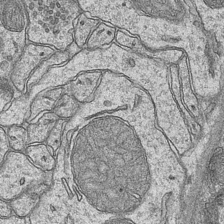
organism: Mouse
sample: CA1 Hippocampus